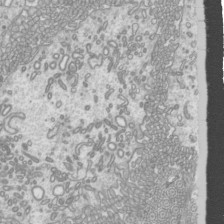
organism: Mouse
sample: Cilia; mouse epididymis